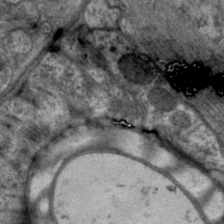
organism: C. elegans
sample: Pharynx